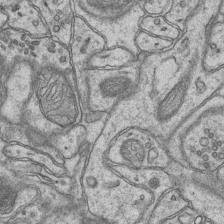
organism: Mouse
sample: CA1 Hippocampus